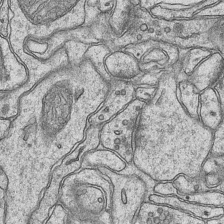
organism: Mouse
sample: CA1 Hippocampus